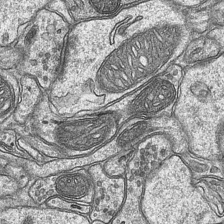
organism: Mouse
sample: CA1 Hippocampus